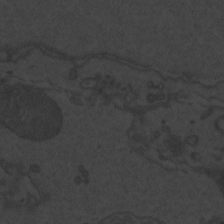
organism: Zebrafish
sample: Macrophage infected with Toxoplasma gondii